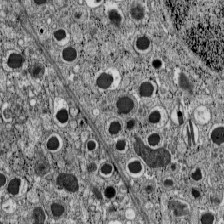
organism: C57BL Mouse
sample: Pancreatic islet